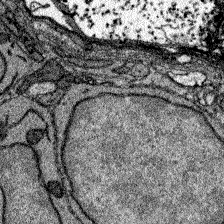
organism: Zebrafish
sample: Larval olfactory bulb